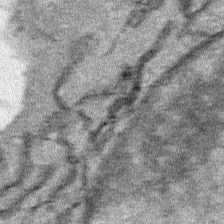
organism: Human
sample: Mitochondria in HCT116 cells